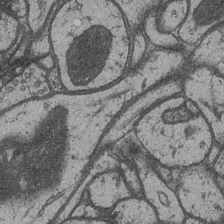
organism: Drosophila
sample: Optic medulla